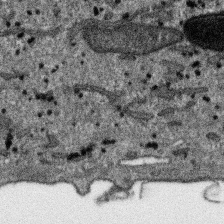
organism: Human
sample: Lung epithelial cells infected with SARS-CoV-2